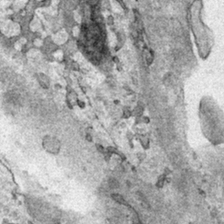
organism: Human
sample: Mitochondria in HCT116 cells